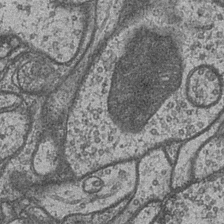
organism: Drosophila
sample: Optic medulla